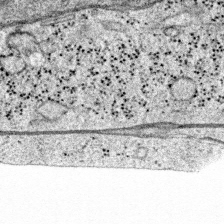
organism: Human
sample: HeLa cells